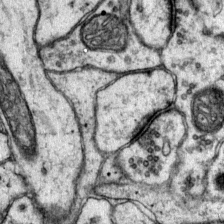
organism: Mouse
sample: Primary visual cortex